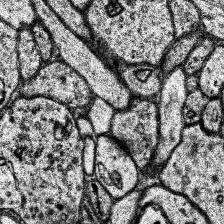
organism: Human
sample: Temporal Lobe